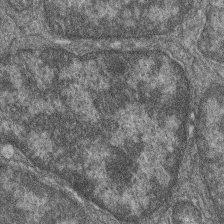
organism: Zebrafish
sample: Cilia; retinal pigment epithelium